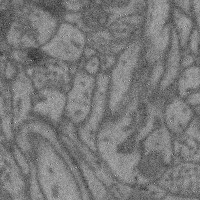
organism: Mouse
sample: Cerebral cortex